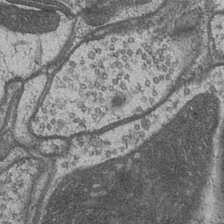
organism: Drosophila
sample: Optic medulla